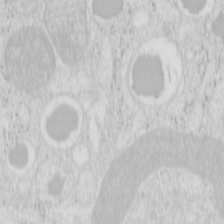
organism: Mouse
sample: Pancreas